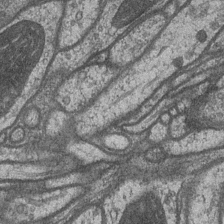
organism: Drosophila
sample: Optic medulla